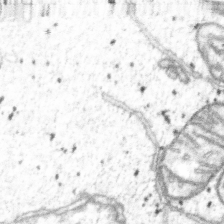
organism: Human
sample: HeLa cells